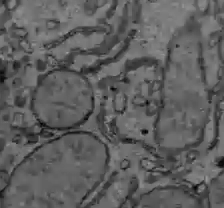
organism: C57BL Mouse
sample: Liver